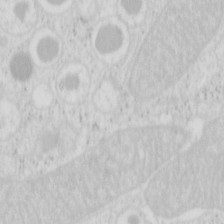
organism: Mouse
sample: Pancreas